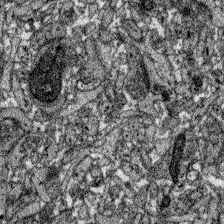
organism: Zebrafish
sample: Larval olfactory bulb